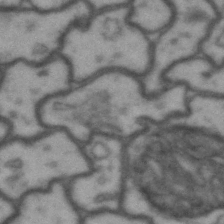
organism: Drosophila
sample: Brain